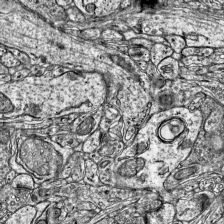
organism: Mouse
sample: Visual Cortex